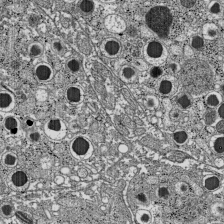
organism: C57BL Mouse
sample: Pancreatic islet